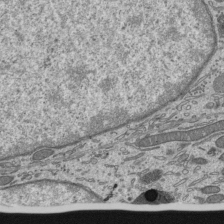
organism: Mouse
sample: Mouse epididymis efferent ductule cilia